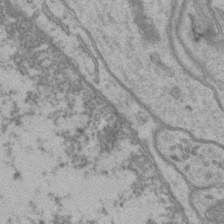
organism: Mouse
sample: CA1 Hippocampus